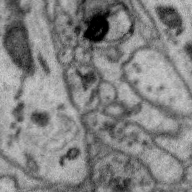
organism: Zebra finch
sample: Brain